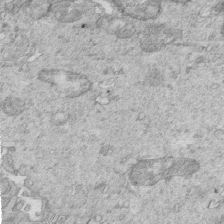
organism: Mouse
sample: Multiciliated cells